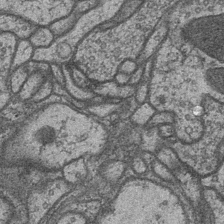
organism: Drosophila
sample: Optic medulla